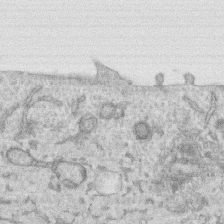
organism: Human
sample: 1205lu cells